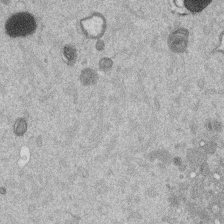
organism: Mouse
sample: Dividing mouse embryo 1 cell stage